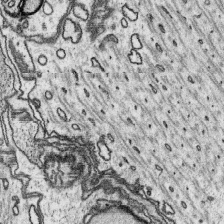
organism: Platynereis dumerilii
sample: Parapodia